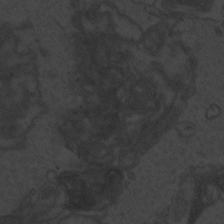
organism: Zebrafish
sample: Macrophage infected with Toxoplasma gondii